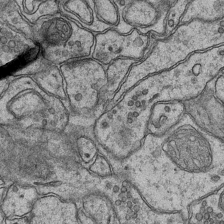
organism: Mouse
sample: CA1 Hippocampus